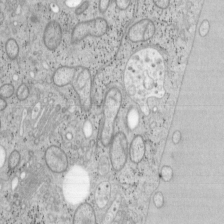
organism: Mouse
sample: OT-I killer T cells with ID8 ovarian cancer cells